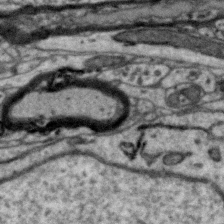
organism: Zebra finch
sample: Brain